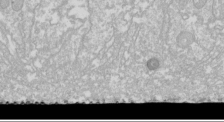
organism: Drosophila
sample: Cell division; meiosis; drosophila spermatocytes